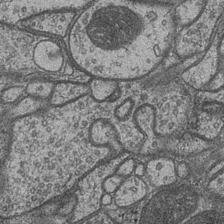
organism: Drosophila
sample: Optic medulla